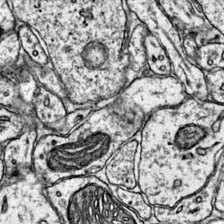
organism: Mouse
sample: Primary visual cortex